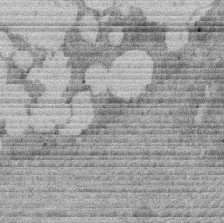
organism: Rat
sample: Salivary granule